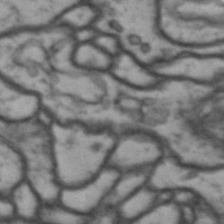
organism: Drosophila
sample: Brain